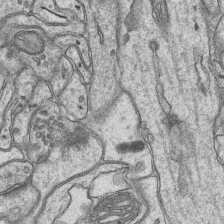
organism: Mouse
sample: CA1 Hippocampus